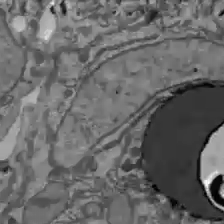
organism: C57BL Mouse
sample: Liver